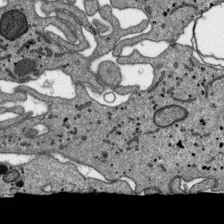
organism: Human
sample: Lung epithelial cells, uninfected (mock) control